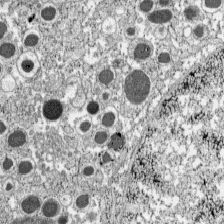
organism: C57BL Mouse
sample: Pancreatic islet